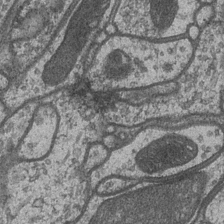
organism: Drosophila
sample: Optic medulla